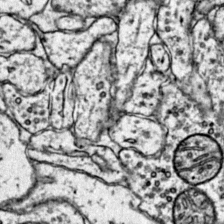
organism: Mouse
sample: Primary visual cortex